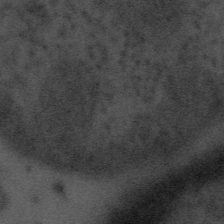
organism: Tuwongella immobilis